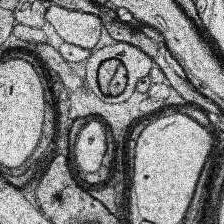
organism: Human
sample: Temporal Lobe